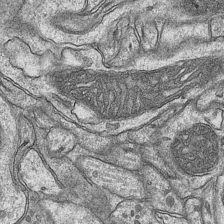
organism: Mouse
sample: CA1 Hippocampus